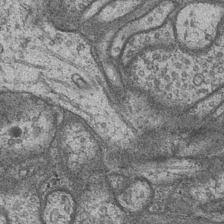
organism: Drosophila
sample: Optic medulla